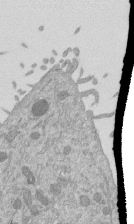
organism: Mouse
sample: ED-1 cell nuclei; centrioles